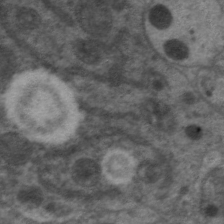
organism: C. elegans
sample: Pharynx